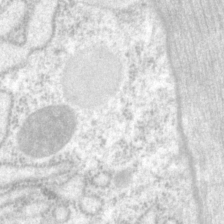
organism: P. pacificus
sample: Pharynx